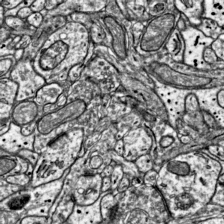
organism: Mouse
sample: Visual Cortex